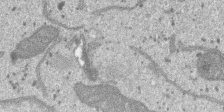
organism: Human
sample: Lung epithelial cells infected with SARS-CoV-2